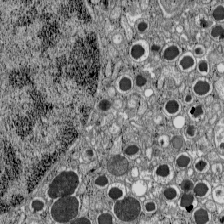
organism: C57BL Mouse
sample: Pancreatic islet